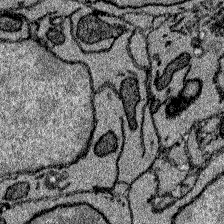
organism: Zebrafish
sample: Larval olfactory bulb